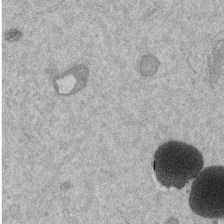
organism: Mouse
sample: Dividing mouse embryo 1 cell stage